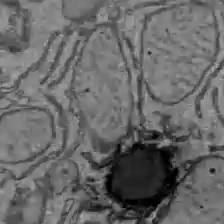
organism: C57BL Mouse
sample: Liver